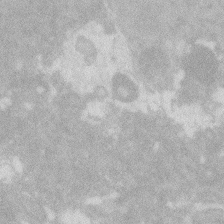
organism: Zebrafish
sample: Macrophage